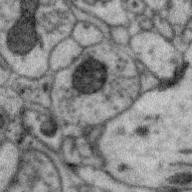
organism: Zebra finch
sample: Brain